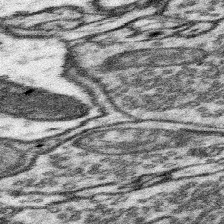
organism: Mouse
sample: Somatosensory cortex neuropil